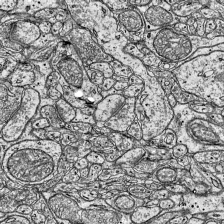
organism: Mouse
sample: Visual Cortex